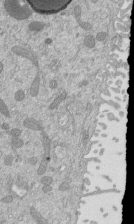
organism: Mouse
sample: ED-1 cell nuclei; centrioles